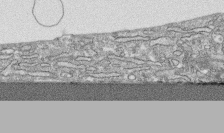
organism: Human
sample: CRL-1474